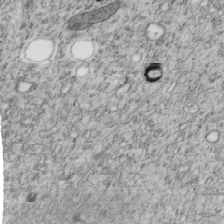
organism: C. elegans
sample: C. elegans embryo early stage